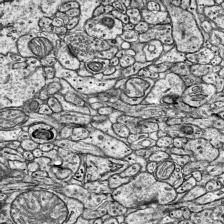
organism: Mouse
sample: Visual Cortex